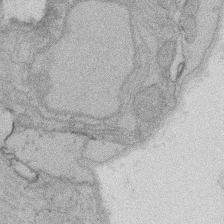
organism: Rat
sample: Salivary granule